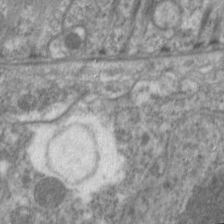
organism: C. elegans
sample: Pharynx